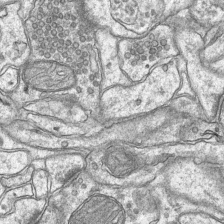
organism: Mouse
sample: CA1 Hippocampus